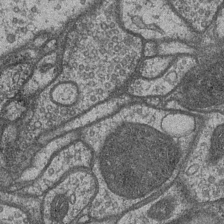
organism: Drosophila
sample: Optic medulla